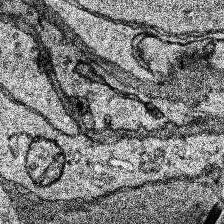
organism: Human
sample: Temporal Lobe